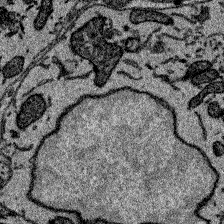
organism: Zebrafish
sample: Larval olfactory bulb